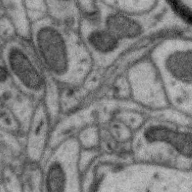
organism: Zebra finch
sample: Brain